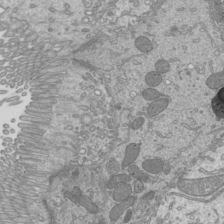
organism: Mouse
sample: Cilia; mouse epididymis